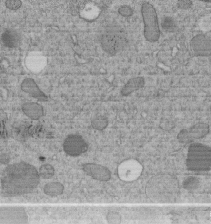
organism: C. elegans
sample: C. elegans embryo early stage